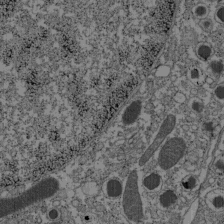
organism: C57BL Mouse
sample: Pancreatic islet